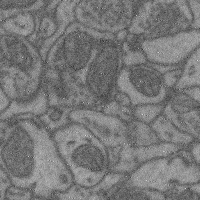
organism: Mouse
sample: Cerebral cortex